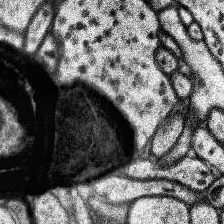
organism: Human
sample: Temporal Lobe